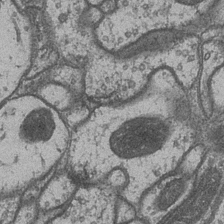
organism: Drosophila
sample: Optic medulla